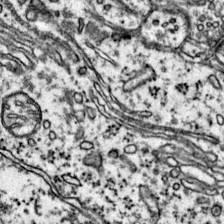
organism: Mouse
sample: Primary visual cortex